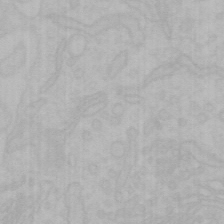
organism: Mouse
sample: Choroid plexus